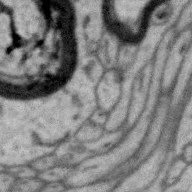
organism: Zebra finch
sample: Brain